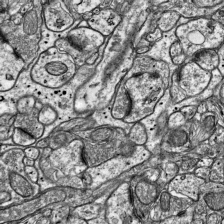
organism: Mouse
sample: Visual Cortex